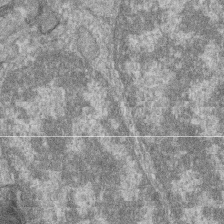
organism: Zebrafish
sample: Cilia; retinal pigment epithelium